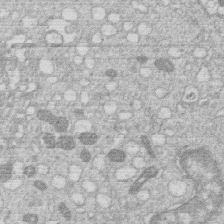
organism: Human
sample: Macrophage cells